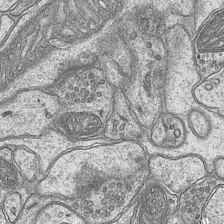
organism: Mouse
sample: CA1 Hippocampus